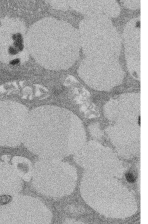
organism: Rat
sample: Salivary granule